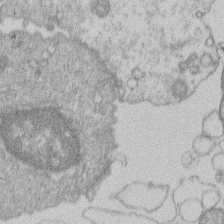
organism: Human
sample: Macrophage cells